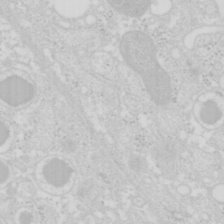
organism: Mouse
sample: Pancreas